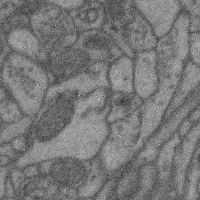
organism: Mouse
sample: Cerebral cortex